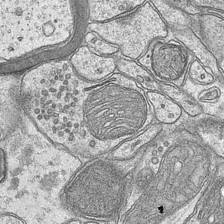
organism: Mouse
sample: CA1 Hippocampus